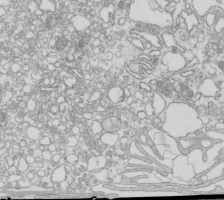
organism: Mouse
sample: Macrophages